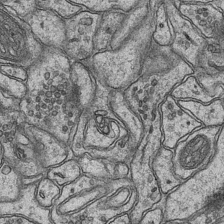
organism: Mouse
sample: CA1 Hippocampus